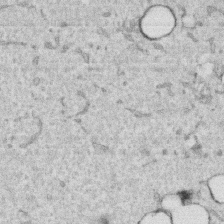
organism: Human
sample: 1205lu cells